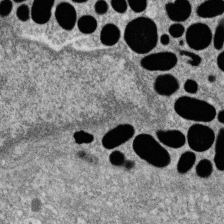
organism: Zebrafish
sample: Cilia; retinal pigment epithelium